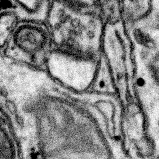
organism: Mouse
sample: Somatosensory cortex neuropil